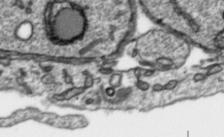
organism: Toxoplasma gondii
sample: Parasites in a vacuole inside a host cell